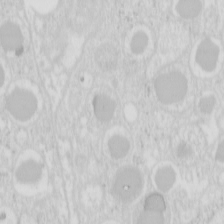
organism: Mouse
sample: Pancreas